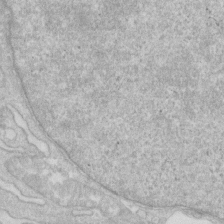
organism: Human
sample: Fibroblast cells